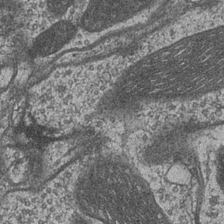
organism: Drosophila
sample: Optic medulla